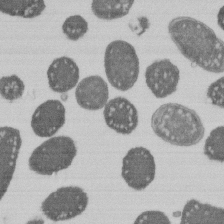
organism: E. coli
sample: Bacterial nucleoid